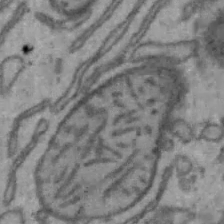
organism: Mouse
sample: Liver